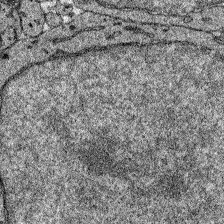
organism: Zebrafish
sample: Larval olfactory bulb